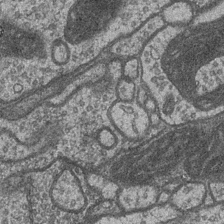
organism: Drosophila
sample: Optic medulla